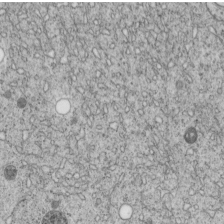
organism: C. elegans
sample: C. elegans embryo early stage